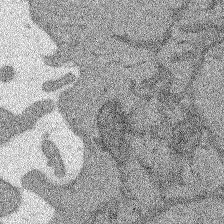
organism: Human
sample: HeLa cells